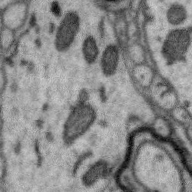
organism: Zebra finch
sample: Brain